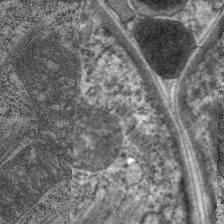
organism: C. elegans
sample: Pharynx